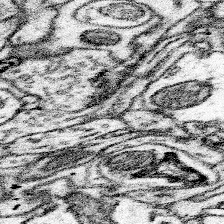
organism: Mouse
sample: Somatosensory cortex neuropil